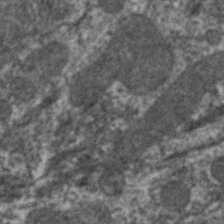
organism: C. elegans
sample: Pharynx